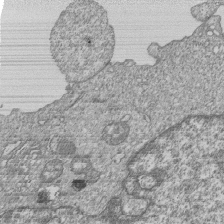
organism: Human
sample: MDA-MB-231 cells